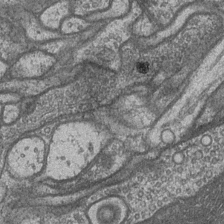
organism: Drosophila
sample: Optic medulla